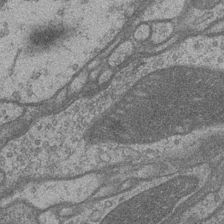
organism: Drosophila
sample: Optic medulla